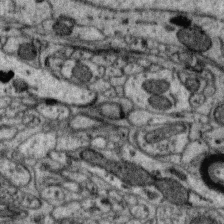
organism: Zebra finch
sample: Brain